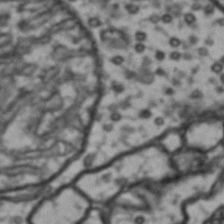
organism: Drosophila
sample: Brain